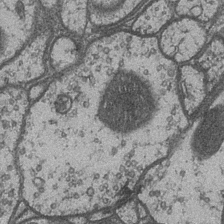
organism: Drosophila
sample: Optic medulla